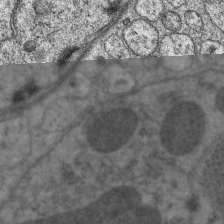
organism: C. elegans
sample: Pharynx